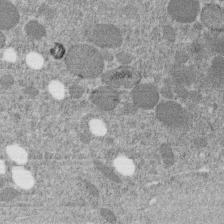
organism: C. elegans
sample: C. elegans embryo early stage